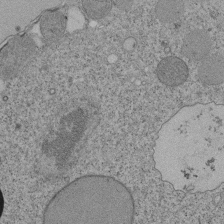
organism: Tetrahymena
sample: Cilia in tetrahymena